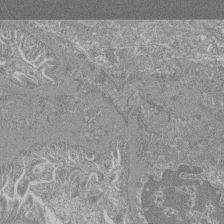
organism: Mouse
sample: Glomerulus